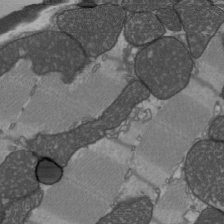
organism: C57BL Mouse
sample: Heart